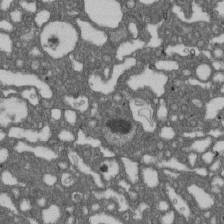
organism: Drosophila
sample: Nephrocyte